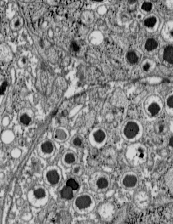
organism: C57BL Mouse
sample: Pancreatic islet